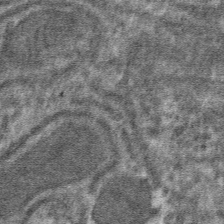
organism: Mouse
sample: Mouse hepatocytes